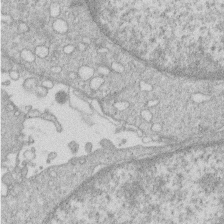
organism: Human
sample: Macrophage cells